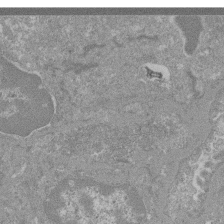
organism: Mouse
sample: Glomerulus